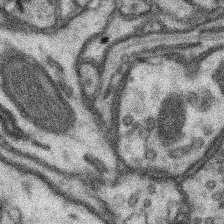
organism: Mouse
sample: Somatosensory cortex neuropil